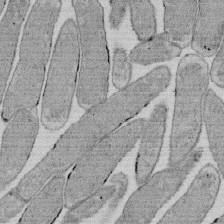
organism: E. coli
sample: Bacterial nucleoid